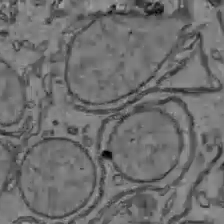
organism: C57BL Mouse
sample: Liver